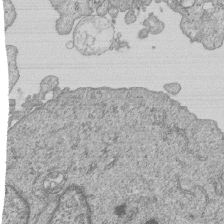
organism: Human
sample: MDA-MB-231 cells